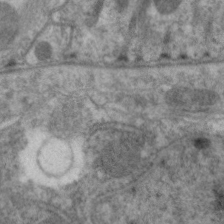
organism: C. elegans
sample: Pharynx